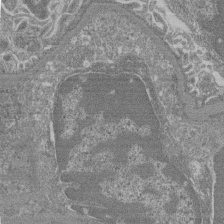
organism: Mouse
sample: Glomerulus